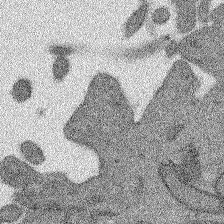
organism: Human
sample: HeLa cells